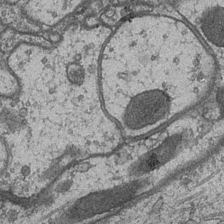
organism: Drosophila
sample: Optic medulla